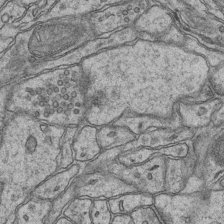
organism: Mouse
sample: CA1 Hippocampus